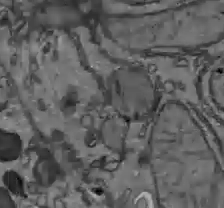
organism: C57BL Mouse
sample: Liver